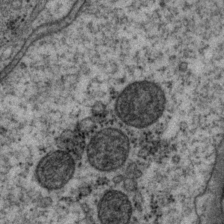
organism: P. pacificus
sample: Pharynx